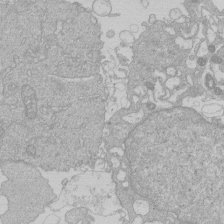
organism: Human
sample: Macrophage cells